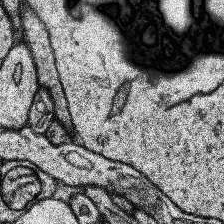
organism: Human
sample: Temporal Lobe